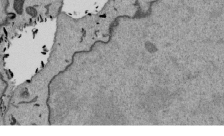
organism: Mouse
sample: ED-1 cell nuclei; centrioles